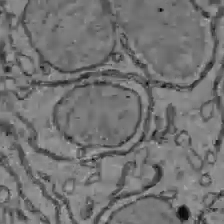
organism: C57BL Mouse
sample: Liver